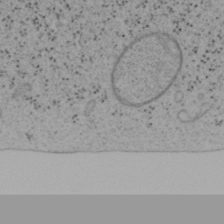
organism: Human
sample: HeLa cells